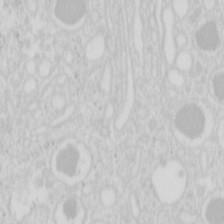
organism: Mouse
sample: Pancreas